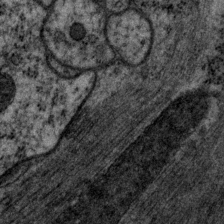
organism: P. pacificus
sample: Pharynx